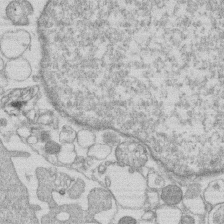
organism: Human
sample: Macrophage cells